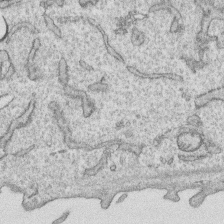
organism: Human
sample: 1205lu cells